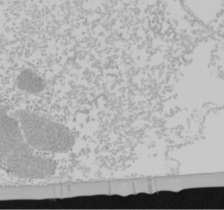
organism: Mouse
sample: Cancer cell death in ED-1 cells